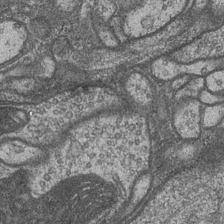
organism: Drosophila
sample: Optic medulla